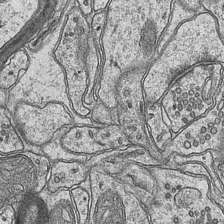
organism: Mouse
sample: CA1 Hippocampus